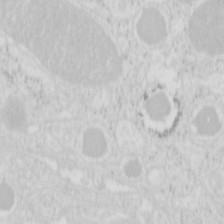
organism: Mouse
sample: Pancreas